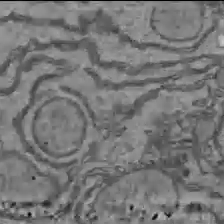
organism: C57BL Mouse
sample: Liver